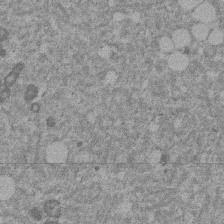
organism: Mouse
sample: Dividing mouse embryo 1 cell stage